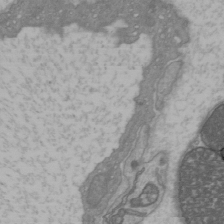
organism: C57BL Mouse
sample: Heart